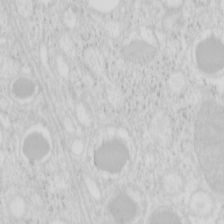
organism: Mouse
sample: Pancreas